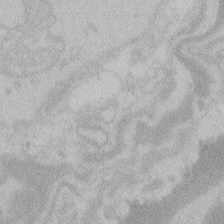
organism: Zebrafish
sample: Macrophage infected with Toxoplasma gondii